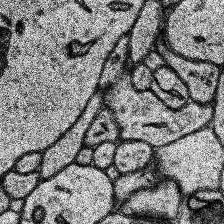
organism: Human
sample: Temporal Lobe